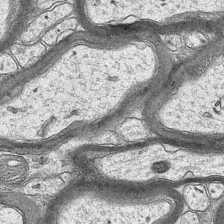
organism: Mouse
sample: CA1 Hippocampus